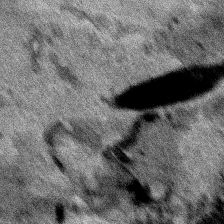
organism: Human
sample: Mitochondria in HCT116 cells